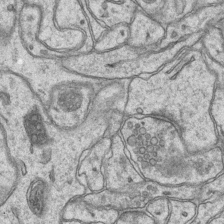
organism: Mouse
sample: CA1 Hippocampus